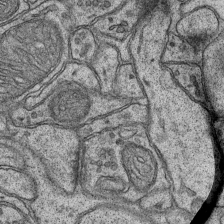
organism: Mouse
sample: CA1 Hippocampus